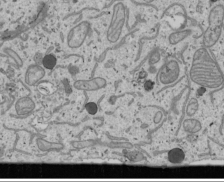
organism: Human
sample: Mitochondria in U2OS cells